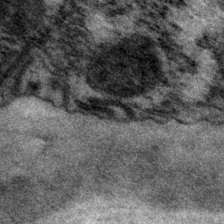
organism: P. pacificus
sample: Pharynx